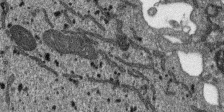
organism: Human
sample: Lung epithelial cells infected with SARS-CoV-2